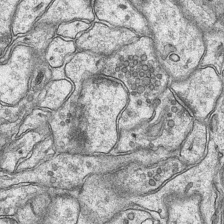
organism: Mouse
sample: CA1 Hippocampus